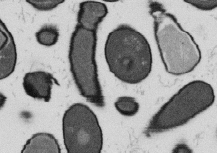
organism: B. subtilis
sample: Bacterial spore